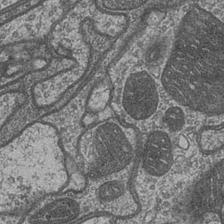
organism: Drosophila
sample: Optic medulla